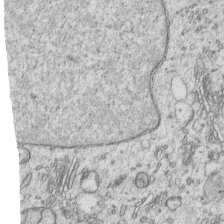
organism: Human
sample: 1205lu cells